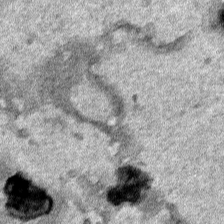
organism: Human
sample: Mitochondria in HCT116 cells